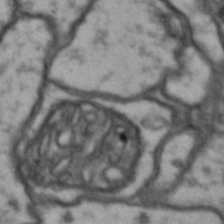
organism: Drosophila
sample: Brain